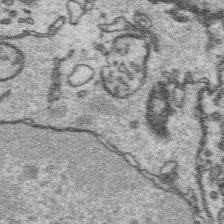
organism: Platynereis dumerilii